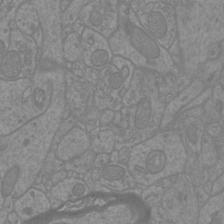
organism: Mouse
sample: Cortical neurons